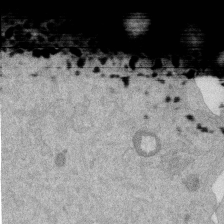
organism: Mouse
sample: Dividing mouse embryo 1 cell stage